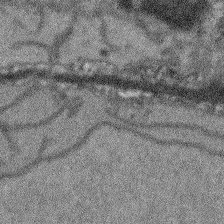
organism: Arabidopsis thaliana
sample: Root tip